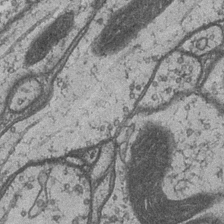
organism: Drosophila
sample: Optic medulla